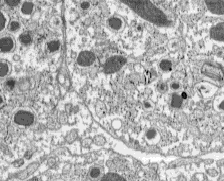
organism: C57BL Mouse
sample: Pancreatic islet